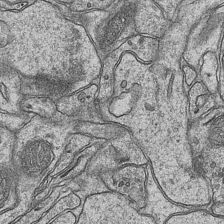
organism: Mouse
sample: CA1 Hippocampus